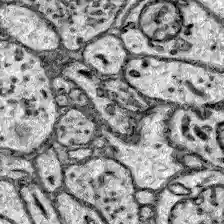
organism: Zebrafish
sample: Brain